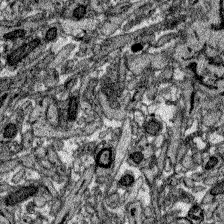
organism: Zebrafish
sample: Larval olfactory bulb